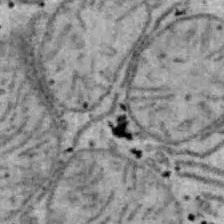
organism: Mouse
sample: Liver from an obese (ob/ob) mouse